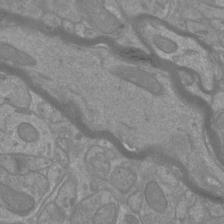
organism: Mouse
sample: Cortical neurons